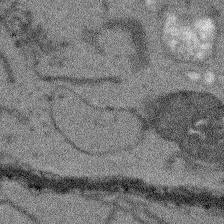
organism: Arabidopsis thaliana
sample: Root tip